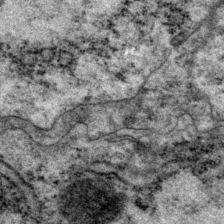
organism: P. pacificus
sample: Pharynx